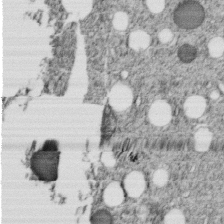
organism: C. elegans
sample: C. elegans embryo early stage